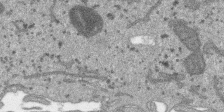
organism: Human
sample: Lung epithelial cells infected with SARS-CoV-2